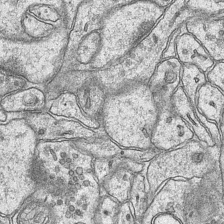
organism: Mouse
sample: CA1 Hippocampus